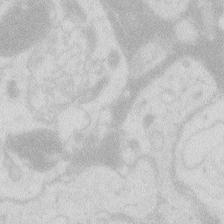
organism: Zebrafish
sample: Macrophage